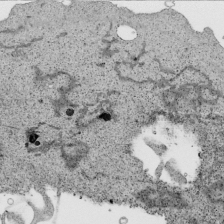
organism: Human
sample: Mitochondria in HCT116 cells